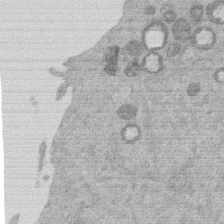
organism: Mouse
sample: Dividing mouse embryo 1 cell stage